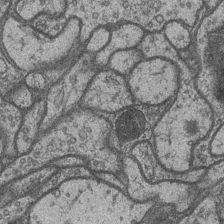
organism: Drosophila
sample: Optic medulla